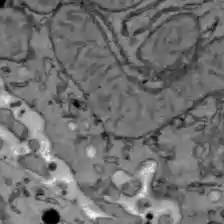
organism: C57BL Mouse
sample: Liver